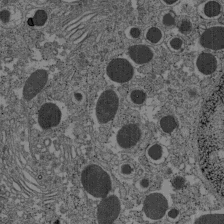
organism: C57BL Mouse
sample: Pancreatic islet